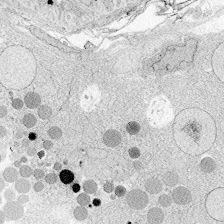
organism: Zebrafish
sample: Whole-Brain